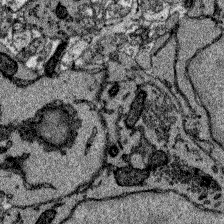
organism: Zebrafish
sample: Larval olfactory bulb